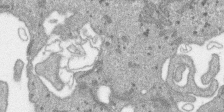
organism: Human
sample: Lung epithelial cells infected with SARS-CoV-2